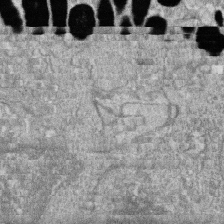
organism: Zebrafish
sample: Cilia; retinal pigment epithelium